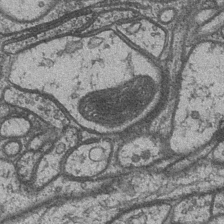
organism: Drosophila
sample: Optic medulla